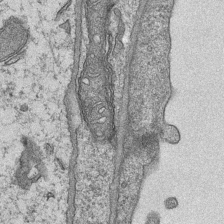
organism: Mouse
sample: CA1 Hippocampus